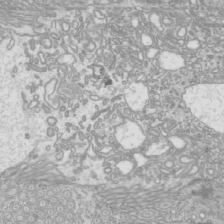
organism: Mouse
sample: Cilia; mouse epididymis